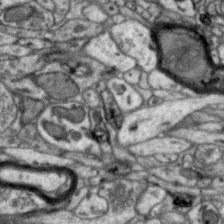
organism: Zebra finch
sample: Brain